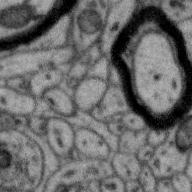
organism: Zebra finch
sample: Brain